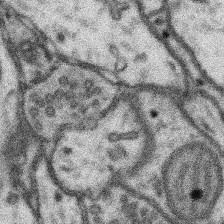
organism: Mouse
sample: Somatosensory cortex neuropil